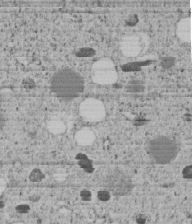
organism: C. elegans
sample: C. elegans embryo early stage